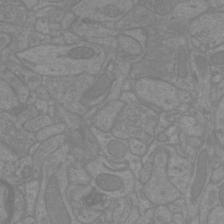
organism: Mouse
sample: Cortical neurons